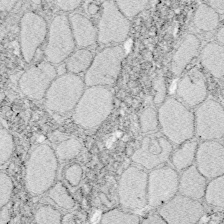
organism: Zebrafish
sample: Whole-Brain